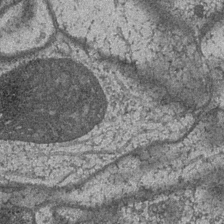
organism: Drosophila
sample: Optic medulla